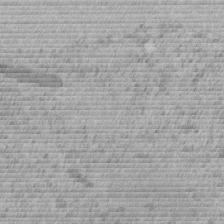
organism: C. elegans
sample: C. elegans embryo early stage